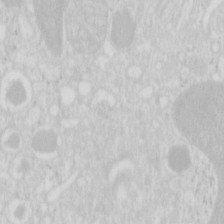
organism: Mouse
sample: Pancreas